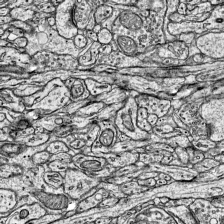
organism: Mouse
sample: Visual Cortex